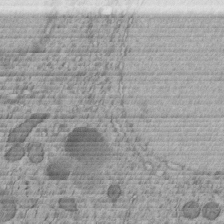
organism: C. elegans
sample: C. elegans embryo early stage